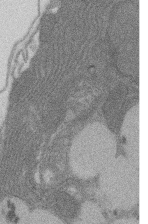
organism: Rat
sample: Salivary granule